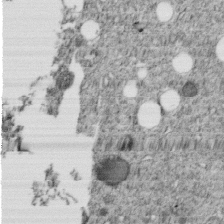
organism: C. elegans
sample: C. elegans embryo early stage